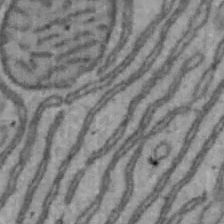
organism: Mouse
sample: Liver